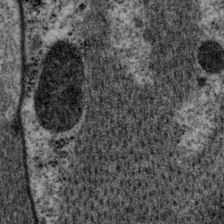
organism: P. pacificus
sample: Pharynx